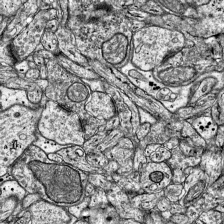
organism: Mouse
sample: Visual Cortex